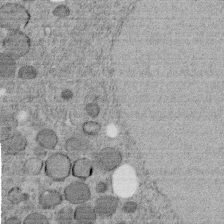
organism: C. elegans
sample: C. elegans embryo early stage